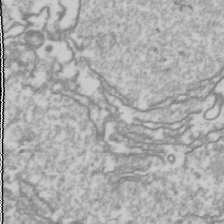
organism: Drosophila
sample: Cell division; meiosis; drosophila spermatocytes